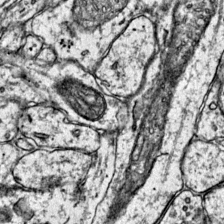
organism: Mouse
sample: Primary visual cortex